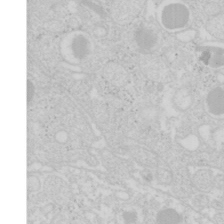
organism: Mouse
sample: Pancreas